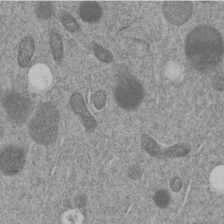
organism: C. elegans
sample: C. elegans embryo early stage